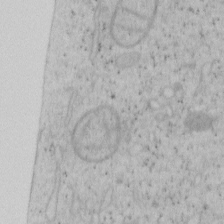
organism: Human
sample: HeLa cells